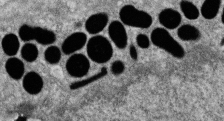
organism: Zebrafish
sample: Cilia; retinal pigment epithelium